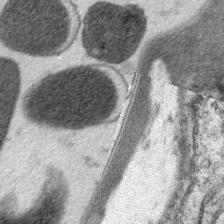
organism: C. elegans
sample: Pharynx